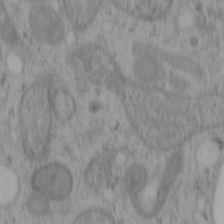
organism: Mouse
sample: OT-I killer T cells with ID8 ovarian cancer cells